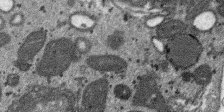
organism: Human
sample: Lung epithelial cells infected with SARS-CoV-2